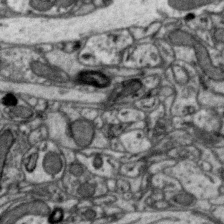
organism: Zebra finch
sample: Brain